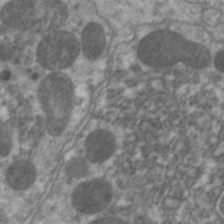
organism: C. elegans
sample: Pharynx